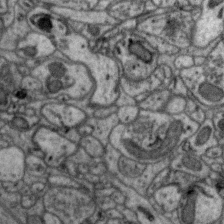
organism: Zebra finch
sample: Brain